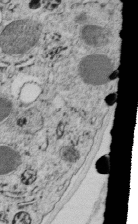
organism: C. elegans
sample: C. elegans embryo early stage